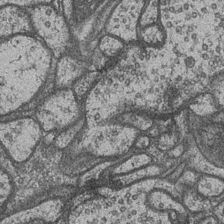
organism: Drosophila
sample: Optic medulla